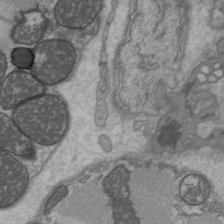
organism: C57BL Mouse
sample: Heart